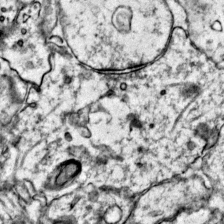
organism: Mouse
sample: Primary visual cortex